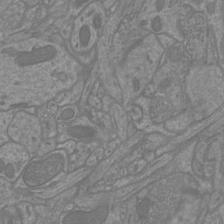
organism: Mouse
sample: Cortical neurons